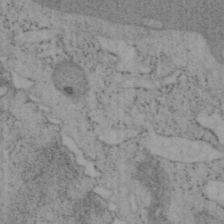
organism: Mouse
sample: OT-I killer T cells with ID8 ovarian cancer cells